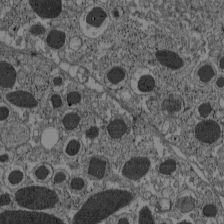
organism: C57BL Mouse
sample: Pancreatic islet